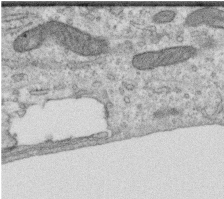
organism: Human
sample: Centriole in RPE cells